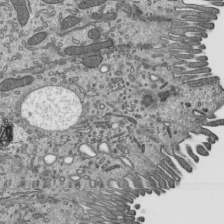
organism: Mouse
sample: Mouse epididymis efferent ductule cilia